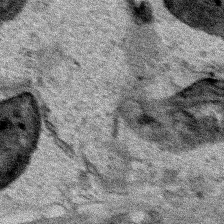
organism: Human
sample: Mitochondria in HCT116 cells